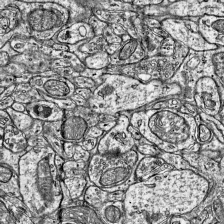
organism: Mouse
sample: Visual Cortex